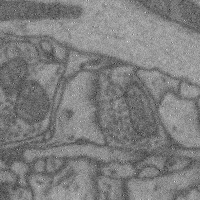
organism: Mouse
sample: Cerebral cortex